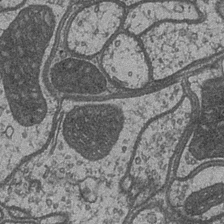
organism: Drosophila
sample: Optic medulla